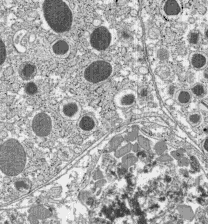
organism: C57BL Mouse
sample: Pancreatic islet